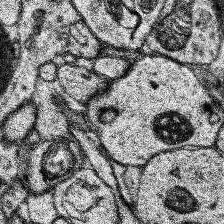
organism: Human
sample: Temporal Lobe